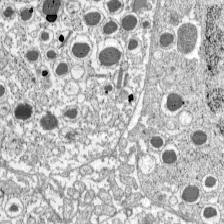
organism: C57BL Mouse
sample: Pancreatic islet